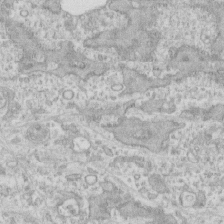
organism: Human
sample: CRL-1474